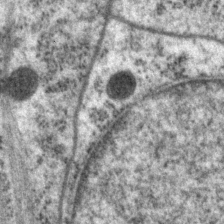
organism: P. pacificus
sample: Pharynx